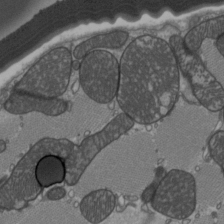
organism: C57BL Mouse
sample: Heart